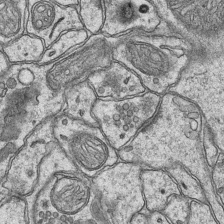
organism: Mouse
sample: CA1 Hippocampus